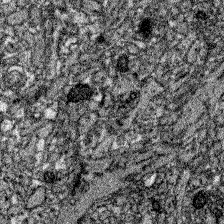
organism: Zebrafish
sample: Larval olfactory bulb